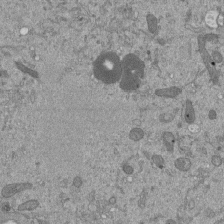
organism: Mouse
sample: ED-1 cell nuclei; centrioles